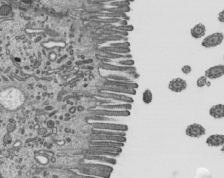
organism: Mouse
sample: Mouse epididymis efferent ductule cilia